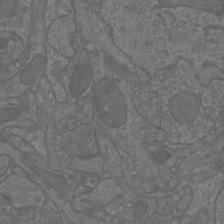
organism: Mouse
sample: Cortical neurons